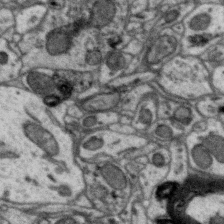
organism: Zebra finch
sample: Brain